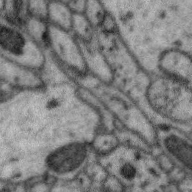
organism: Zebra finch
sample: Brain